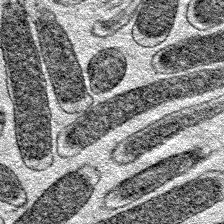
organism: E. coli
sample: E. Coli Bacteria